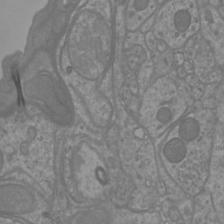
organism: Mouse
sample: Cortical neurons